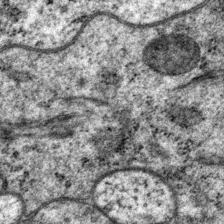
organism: P. pacificus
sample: Pharynx